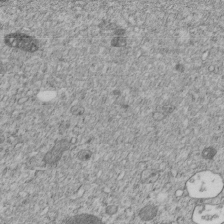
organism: C. elegans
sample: C. elegans embryo early stage